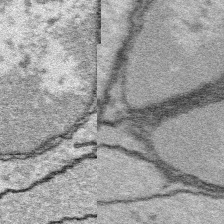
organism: Platynereis dumerilii